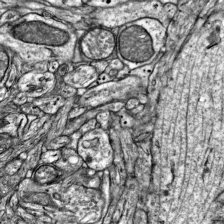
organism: Mouse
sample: Visual Cortex